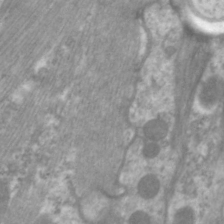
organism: C. elegans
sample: Pharynx